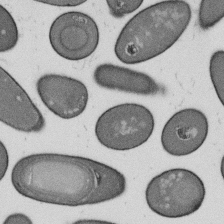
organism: B. subtilis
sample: Bacterial spore